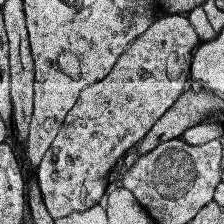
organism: Human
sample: Temporal Lobe